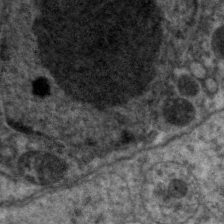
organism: C. elegans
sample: Pharynx